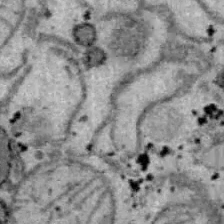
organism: Mouse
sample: Liver from an obese (ob/ob) mouse